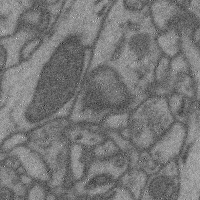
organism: Mouse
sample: Cerebral cortex